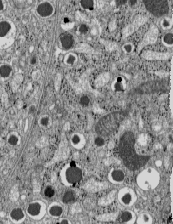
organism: C57BL Mouse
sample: Pancreatic islet